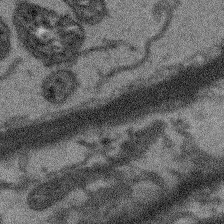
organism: Arabidopsis thaliana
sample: Root tip